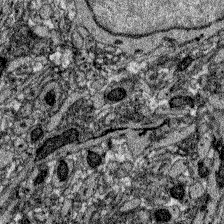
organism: Zebrafish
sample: Larval olfactory bulb